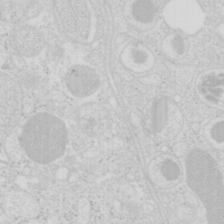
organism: Mouse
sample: Pancreas